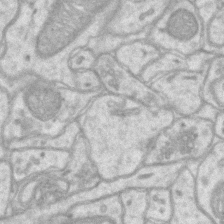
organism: Mouse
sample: CA1 Hippocampus